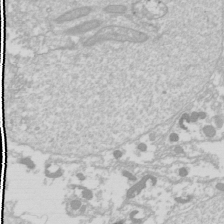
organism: Drosophila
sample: Cell division; meiosis; drosophila spermatocytes